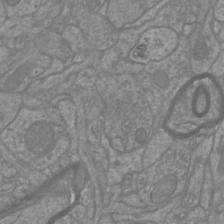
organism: Mouse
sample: Cortical neurons